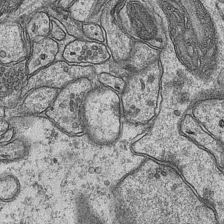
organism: Mouse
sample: CA1 Hippocampus